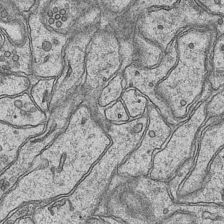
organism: Mouse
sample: CA1 Hippocampus